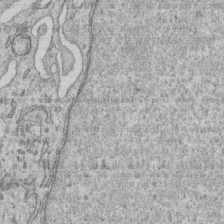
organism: Human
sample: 1205lu cells